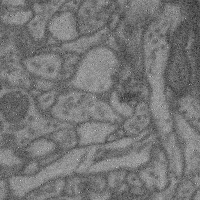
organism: Mouse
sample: Cerebral cortex